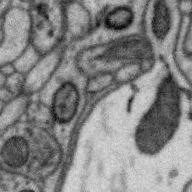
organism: Zebra finch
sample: Brain